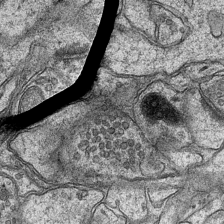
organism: Mouse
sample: CA1 Hippocampus